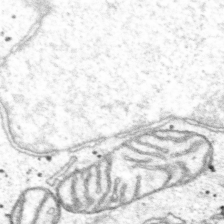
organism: Human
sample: HeLa cells